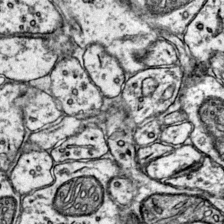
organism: Mouse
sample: Primary visual cortex